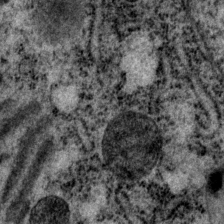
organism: P. pacificus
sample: Pharynx